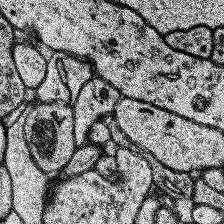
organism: Human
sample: Temporal Lobe